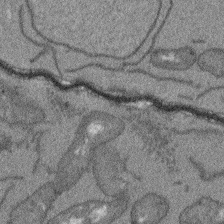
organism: Arabidopsis thaliana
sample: Root tip